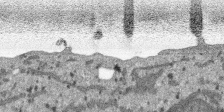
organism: Human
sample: Lung epithelial cells infected with SARS-CoV-2